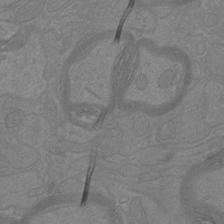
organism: Mouse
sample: Cortical neurons